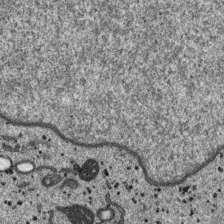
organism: Human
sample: Lung epithelial cells infected with SARS-CoV-2